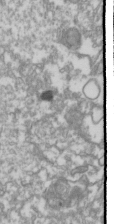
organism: Drosophila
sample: Cell division; meiosis; drosophila spermatocytes